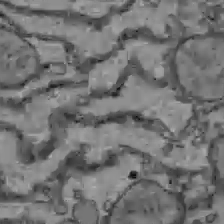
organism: C57BL Mouse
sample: Liver